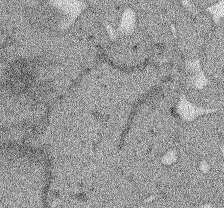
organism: Human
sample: HeLa cells